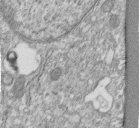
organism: Human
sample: Centriole in fibroblast cells